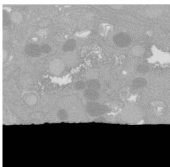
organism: C. elegans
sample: C. elegans oocyte; sperm cells